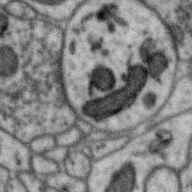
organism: Zebra finch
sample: Brain